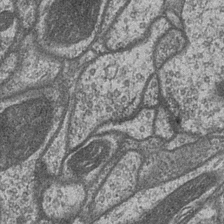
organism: Drosophila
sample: Optic medulla